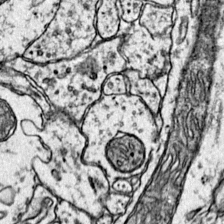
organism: Mouse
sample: Primary visual cortex